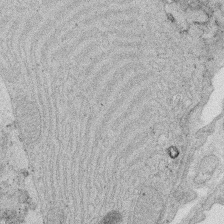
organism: Rat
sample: Salivary granule